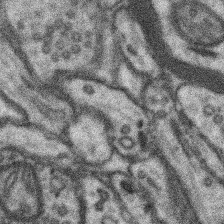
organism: Mouse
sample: Somatosensory cortex neuropil